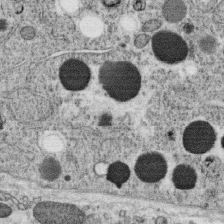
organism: C. elegans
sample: C. elegans oocyte; sperm cells